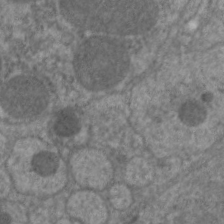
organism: C. elegans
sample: Pharynx